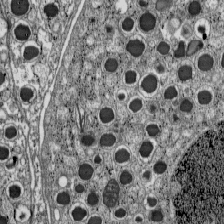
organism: C57BL Mouse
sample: Pancreatic islet